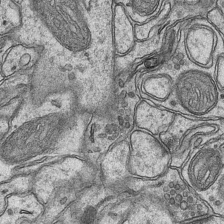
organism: Mouse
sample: CA1 Hippocampus